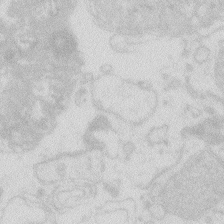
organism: Zebrafish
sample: Macrophage